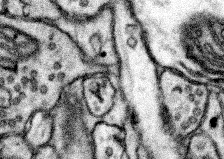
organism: Mouse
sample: Somatosensory cortex neuropil